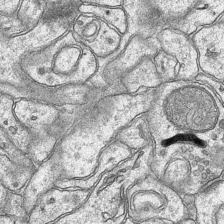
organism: Mouse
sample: CA1 Hippocampus